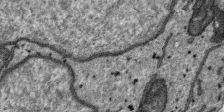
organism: Human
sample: Lung epithelial cells, uninfected (mock) control